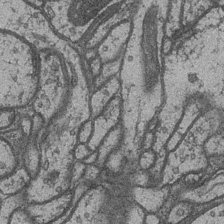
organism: Drosophila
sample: Optic medulla